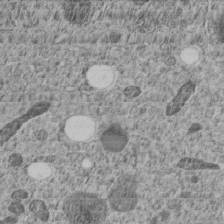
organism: C. elegans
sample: C. elegans embryo early stage